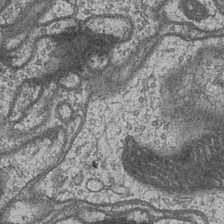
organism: Drosophila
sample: Optic medulla